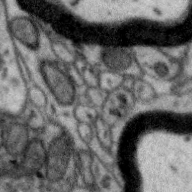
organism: Zebra finch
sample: Brain